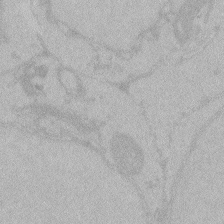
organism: Zebrafish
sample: Macrophage infected with Toxoplasma gondii